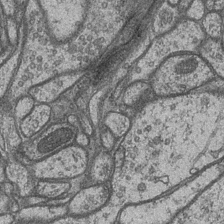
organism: Drosophila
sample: Optic medulla